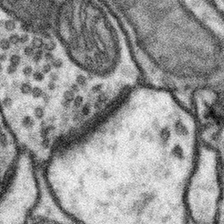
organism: Mouse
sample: Somatosensory cortex neuropil